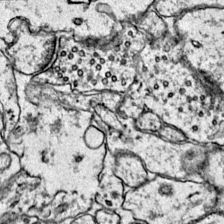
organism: Mouse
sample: Primary visual cortex